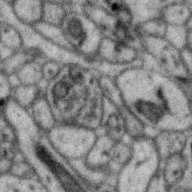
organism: Zebra finch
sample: Brain